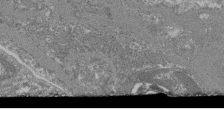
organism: Mouse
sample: Glomerulus